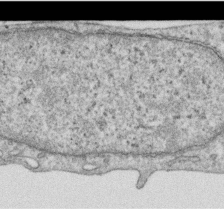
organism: Human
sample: Centriole in RPE cells